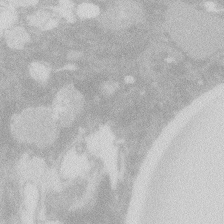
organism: Zebrafish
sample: Macrophage